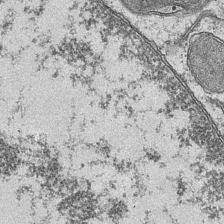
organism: Mouse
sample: CA1 Hippocampus